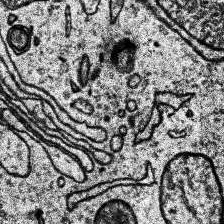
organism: Human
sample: Temporal Lobe